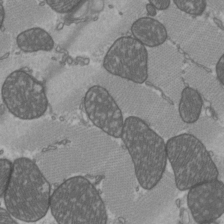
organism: C57BL Mouse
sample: Heart